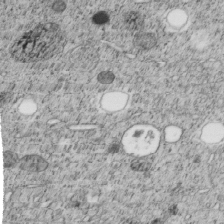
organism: C. elegans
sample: C. elegans embryo early stage